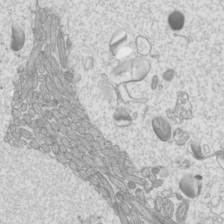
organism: Mouse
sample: Cilia; mouse epididymis